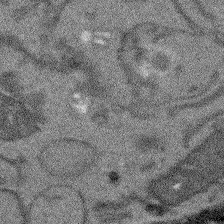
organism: Arabidopsis thaliana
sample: Root tip